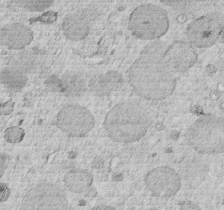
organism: C. elegans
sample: C. elegans embryo early stage